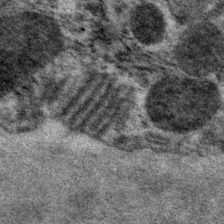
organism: P. pacificus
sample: Pharynx